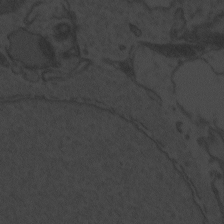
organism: Zebrafish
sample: Macrophage infected with Toxoplasma gondii